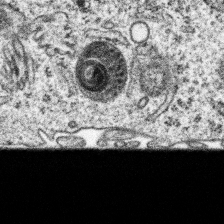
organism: Human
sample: HeLa cells